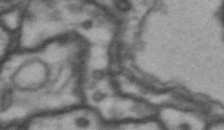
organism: Drosophila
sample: Brain